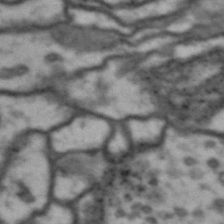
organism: Drosophila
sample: Brain